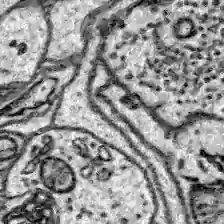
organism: Zebrafish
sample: Brain